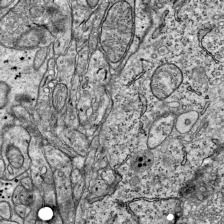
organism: Mouse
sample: Visual Cortex